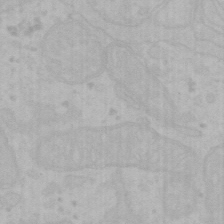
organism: Mouse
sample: Choroid plexus